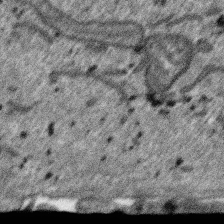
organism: Human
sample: Lung epithelial cells infected with SARS-CoV-2